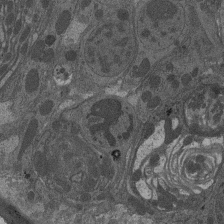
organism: Drosophila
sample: Antenna